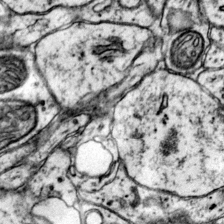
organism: Mouse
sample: Primary visual cortex